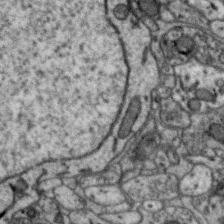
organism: Zebra finch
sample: Brain